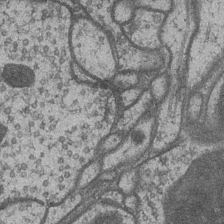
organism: Drosophila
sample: Optic medulla